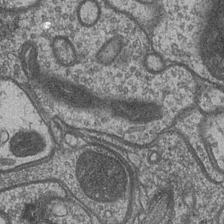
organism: Drosophila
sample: Optic medulla